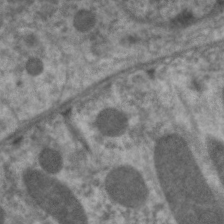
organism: C. elegans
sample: Pharynx